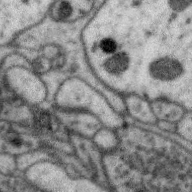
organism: Zebra finch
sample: Brain